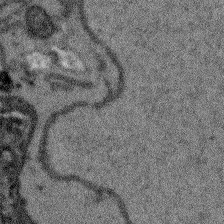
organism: Arabidopsis thaliana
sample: Root tip